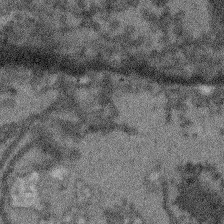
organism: Arabidopsis thaliana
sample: Root tip